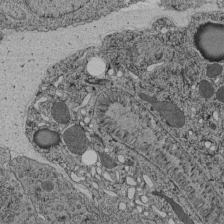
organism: C. elegans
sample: C. elegans pharynx